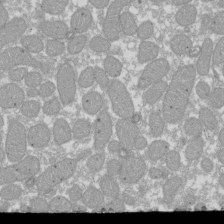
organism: Xenopus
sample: Cilia; centrioles in frog embryo cells